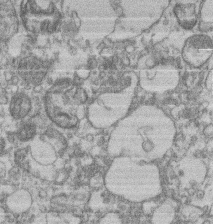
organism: Mouse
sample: T cell stromal cell synapse